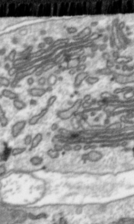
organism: Toxoplasma gondii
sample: Parasites in a vacuole inside a host cell